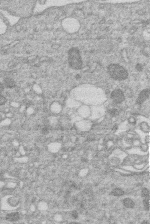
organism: Human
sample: Macrophage cells